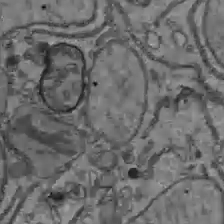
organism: C57BL Mouse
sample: Liver